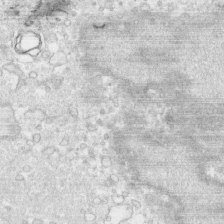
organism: Human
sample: CRL-1474